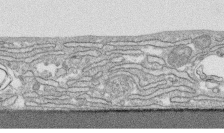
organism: Human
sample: CRL-1474